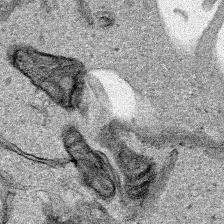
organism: Human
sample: Mitochondria in HCT116 cells